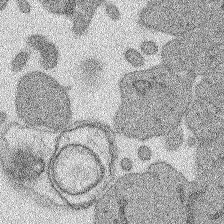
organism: Human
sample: HeLa cells